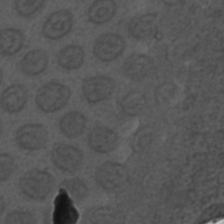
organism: C. elegans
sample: C. elegans embryo